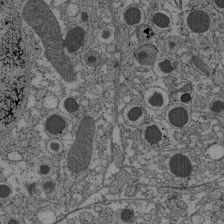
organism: C57BL Mouse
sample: Pancreatic islet